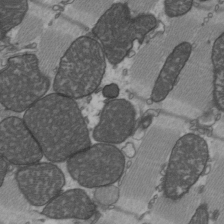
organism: C57BL Mouse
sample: Heart